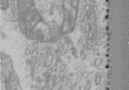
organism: Human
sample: Centriole in RPE cells